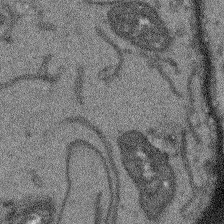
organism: Arabidopsis thaliana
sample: Root tip